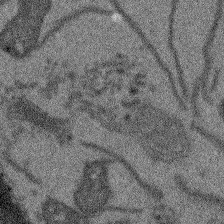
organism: Arabidopsis thaliana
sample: Root tip